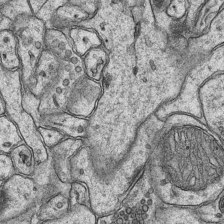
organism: Mouse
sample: CA1 Hippocampus